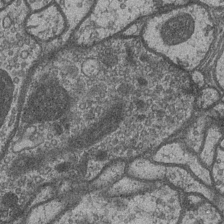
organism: Drosophila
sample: Optic medulla